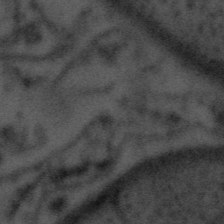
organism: Tuwongella immobilis